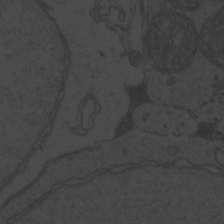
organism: Zebrafish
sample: Macrophage infected with Toxoplasma gondii